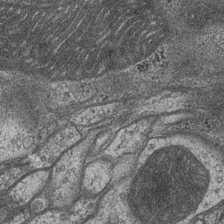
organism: Drosophila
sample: Optic medulla